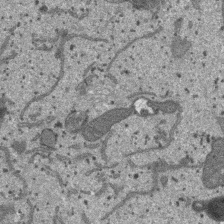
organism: Human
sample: Lung epithelial cells infected with SARS-CoV-2